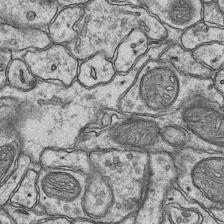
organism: Mouse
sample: CA1 Hippocampus